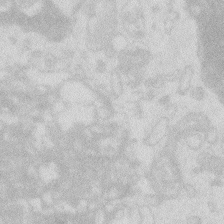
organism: Zebrafish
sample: Macrophage